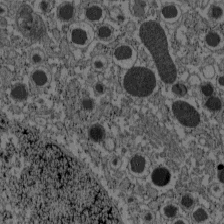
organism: C57BL Mouse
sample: Pancreatic islet